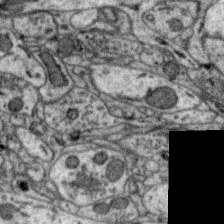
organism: Zebra finch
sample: Brain